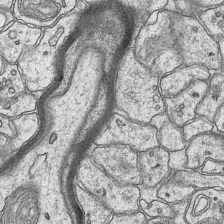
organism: Mouse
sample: CA1 Hippocampus